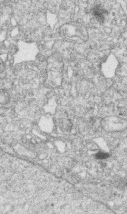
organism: Human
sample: HeLa cell HIV synapse